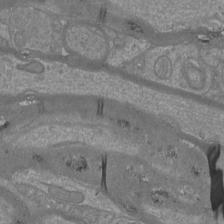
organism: Mouse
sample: Cortical neurons